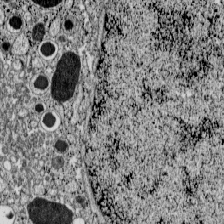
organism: C57BL Mouse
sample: Pancreatic islet